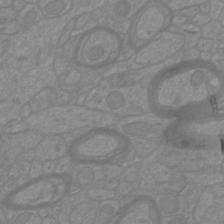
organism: Mouse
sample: Cortical neurons